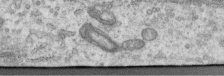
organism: Human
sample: Centriole in RPE cells